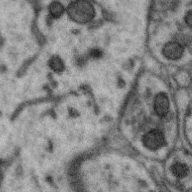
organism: Zebra finch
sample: Brain